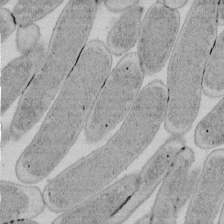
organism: E. coli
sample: Bacterial nucleoid